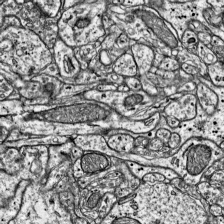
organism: Mouse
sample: Visual Cortex